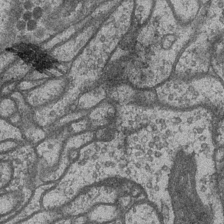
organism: Drosophila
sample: Optic medulla